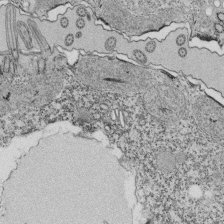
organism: Tetrahymena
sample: Cilia in tetrahymena